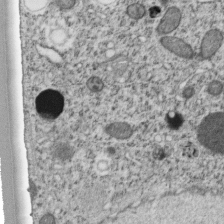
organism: C. elegans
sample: C. elegans embryo early stage